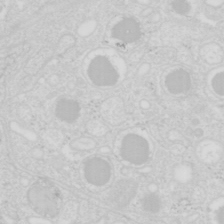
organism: Mouse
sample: Pancreas